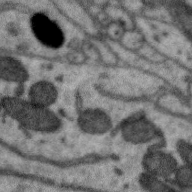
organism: Zebra finch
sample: Brain